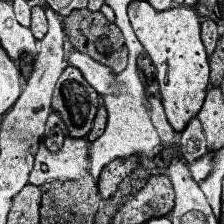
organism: Human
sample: Temporal Lobe